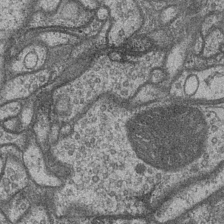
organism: Drosophila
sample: Optic medulla